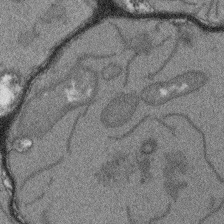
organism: Arabidopsis thaliana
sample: Root tip